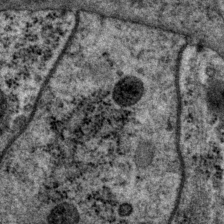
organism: P. pacificus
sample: Pharynx